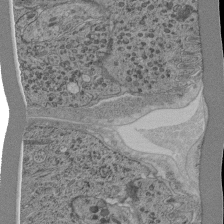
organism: C. elegans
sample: C. elegans pharynx